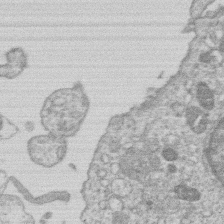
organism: Human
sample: Macrophage cells